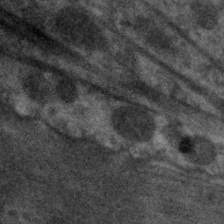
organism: C. elegans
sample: Pharynx